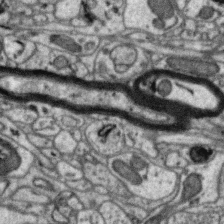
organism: Zebra finch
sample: Brain